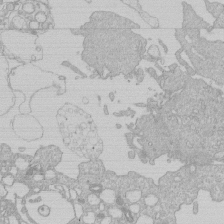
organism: Human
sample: Macrophage cells